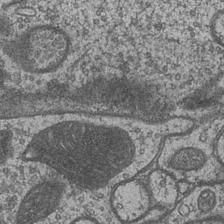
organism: Drosophila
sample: Optic medulla